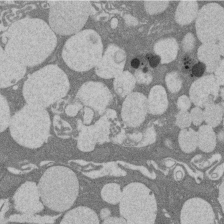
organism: Rat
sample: Salivary granule